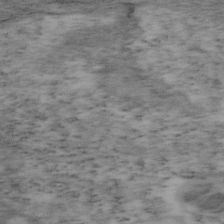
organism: Mouse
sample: OT-I killer T cells with ID8 ovarian cancer cells